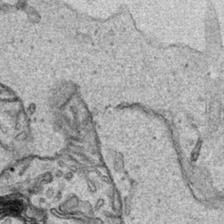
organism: Human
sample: Mitochondria in HCT116 cells